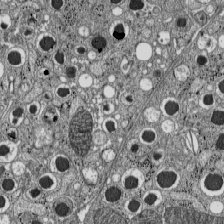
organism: C57BL Mouse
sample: Pancreatic islet